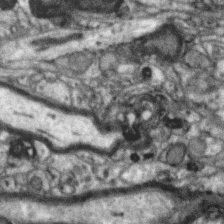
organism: Zebra finch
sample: Brain